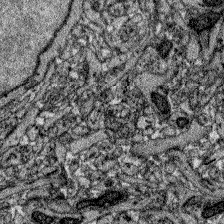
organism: Zebrafish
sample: Larval olfactory bulb